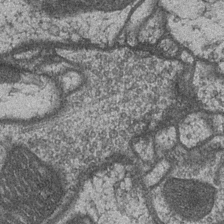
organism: Drosophila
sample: Optic medulla